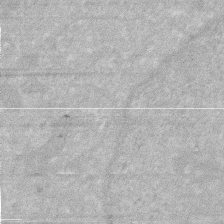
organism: Human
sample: HIV infected U937 cells